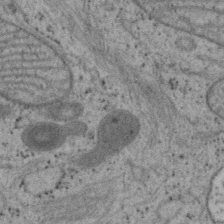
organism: Human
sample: HeLa cells